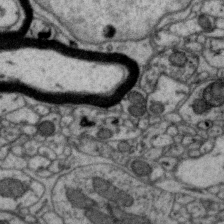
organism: Zebra finch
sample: Brain